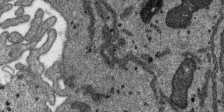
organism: Human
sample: Lung epithelial cells infected with SARS-CoV-2